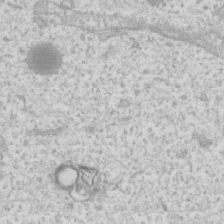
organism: Human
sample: Fibroblast cells